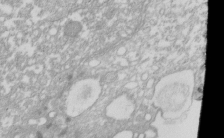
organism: Xenopus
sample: Cilia; centrioles in frog embryo cells